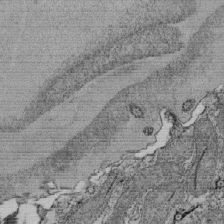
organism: Tetrahymena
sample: Cilia in tetrahymena